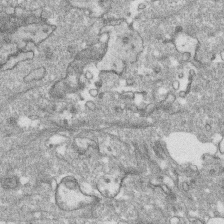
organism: Human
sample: CRL-1474